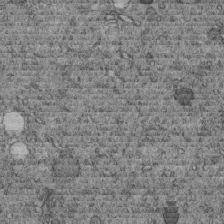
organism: C. elegans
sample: C. elegans embryo early stage